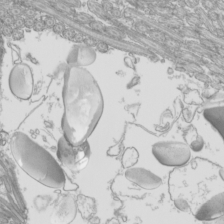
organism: Mouse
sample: Cilia; mouse epididymis